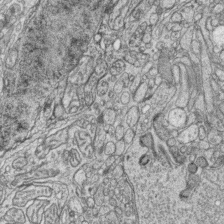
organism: Zebrafish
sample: synaptic ribbons in rod cells and cone cells